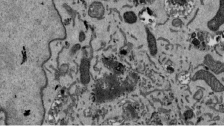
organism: Mouse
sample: ED-1 cell nuclei; centrioles